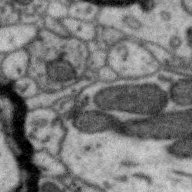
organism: Zebra finch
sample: Brain